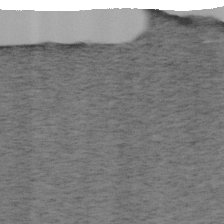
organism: Mouse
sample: OT-I killer T cells with ID8 ovarian cancer cells